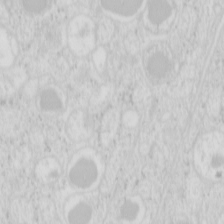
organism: Mouse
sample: Pancreas